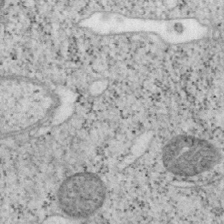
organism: Mouse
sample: OT-I killer T cells with ID8 ovarian cancer cells